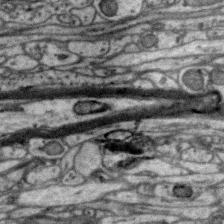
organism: Zebra finch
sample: Brain